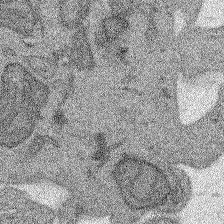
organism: Human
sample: HeLa cells